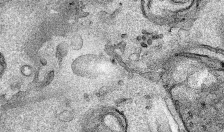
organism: Human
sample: Mitochondria in HCT116 cells